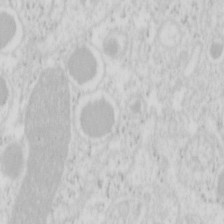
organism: Mouse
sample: Pancreas